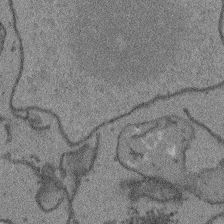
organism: Arabidopsis thaliana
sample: Root tip